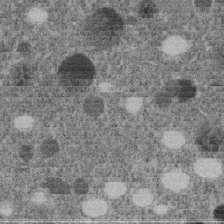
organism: C. elegans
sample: C. elegans embryo early stage